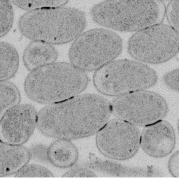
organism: E. coli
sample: Bacterial nucleoid